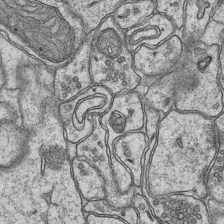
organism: Mouse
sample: CA1 Hippocampus